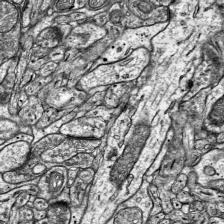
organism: Mouse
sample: Visual Cortex